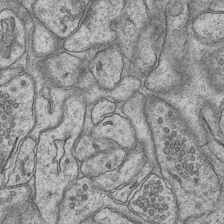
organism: Mouse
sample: CA1 Hippocampus